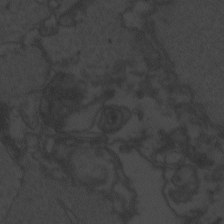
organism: Zebrafish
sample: Macrophage infected with Toxoplasma gondii